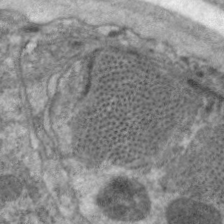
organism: C. elegans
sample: Pharynx